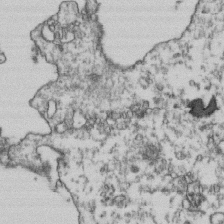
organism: Human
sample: Activated Jurkat CD4+ T cells